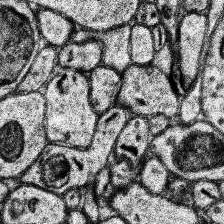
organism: Human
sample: Temporal Lobe